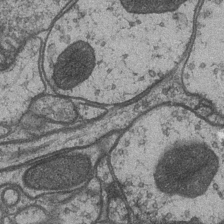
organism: Drosophila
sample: Optic medulla